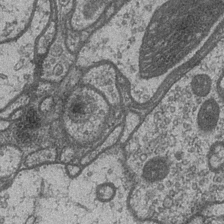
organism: Drosophila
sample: Optic medulla